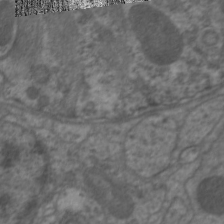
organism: C. elegans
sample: Pharynx